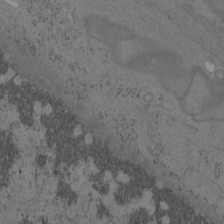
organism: Mouse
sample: OT-I killer T cells with ID8 ovarian cancer cells